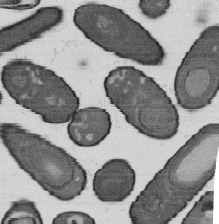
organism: B. subtilis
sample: Bacterial spore